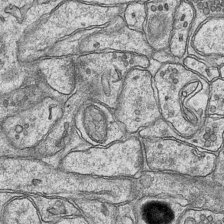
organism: Mouse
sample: CA1 Hippocampus